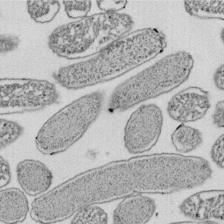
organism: E. coli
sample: Bacterial nucleoid